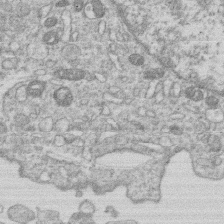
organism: Human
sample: Macrophage cells